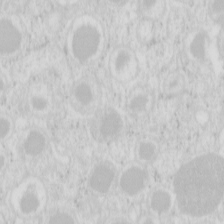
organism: Mouse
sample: Pancreas